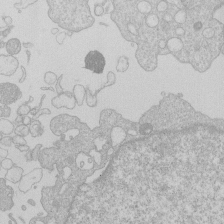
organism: Human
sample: Macrophage cells